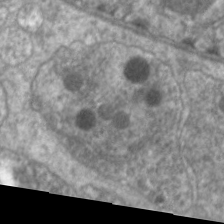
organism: C. elegans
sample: Pharynx